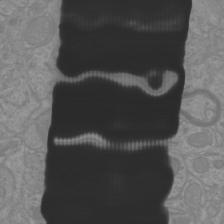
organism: Mouse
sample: Cortical neurons